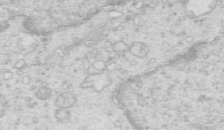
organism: Mouse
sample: Multiciliated cells